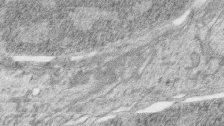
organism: Zebrafish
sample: synaptic ribbons in rod cells and cone cells